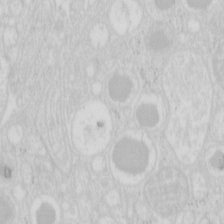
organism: Mouse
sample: Pancreas